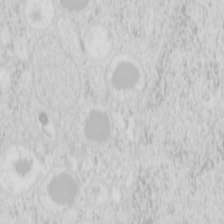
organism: Mouse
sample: Pancreas